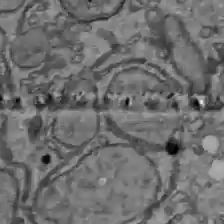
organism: C57BL Mouse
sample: Liver